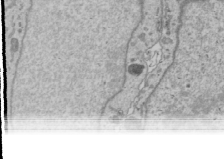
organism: Human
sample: Mitochondria in U2OS cells